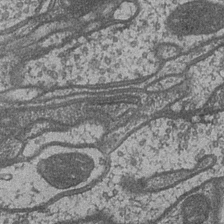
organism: Drosophila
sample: Optic medulla